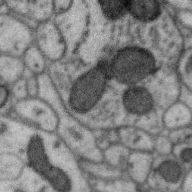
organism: Zebra finch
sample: Brain